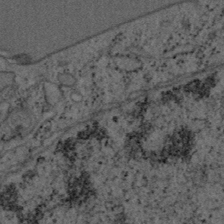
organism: Human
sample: HeLa cells